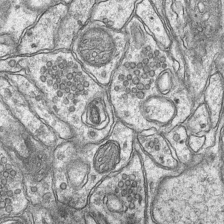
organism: Mouse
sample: CA1 Hippocampus